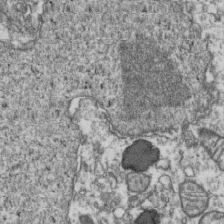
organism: Human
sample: Activated Jurkat CD4+ T cells